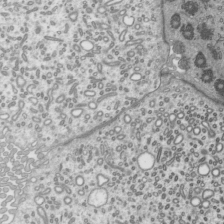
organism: Mouse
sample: Mouse epididymis efferent ductule cilia